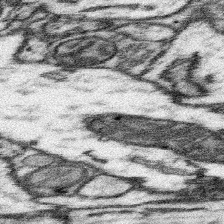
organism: Mouse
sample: Somatosensory cortex neuropil